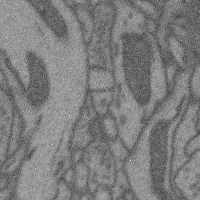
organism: Mouse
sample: Cerebral cortex